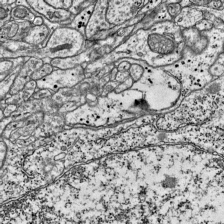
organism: Mouse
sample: Visual Cortex